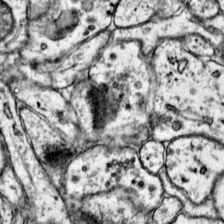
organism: Mouse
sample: Primary visual cortex